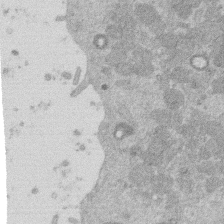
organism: Mouse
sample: Dividing mouse embryo 1 cell stage